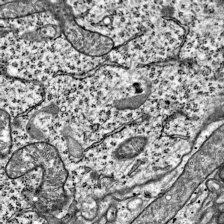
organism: Mouse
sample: Visual Cortex